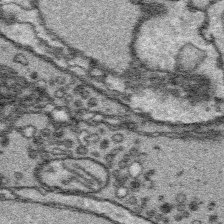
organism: Platynereis dumerilii